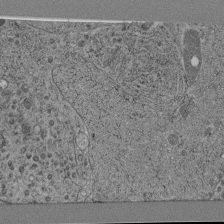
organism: C. elegans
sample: C. elegans pharynx